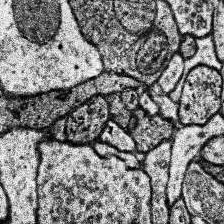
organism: Human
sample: Temporal Lobe